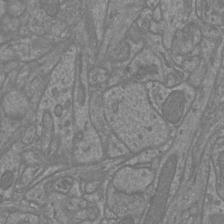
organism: Mouse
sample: Cortical neurons